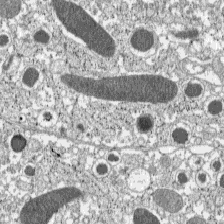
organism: C57BL Mouse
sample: Pancreatic islet